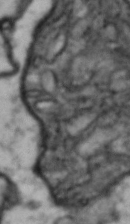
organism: Drosophila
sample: Brain